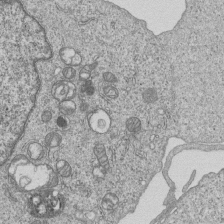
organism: Human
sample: MDA-MB-231 cells